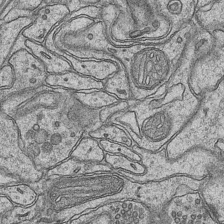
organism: Mouse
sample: CA1 Hippocampus